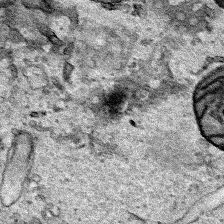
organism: Human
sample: Mitochondria in HCT116 cells